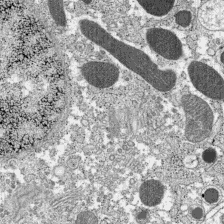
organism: C57BL Mouse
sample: Pancreatic islet